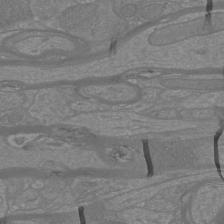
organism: Mouse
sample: Cortical neurons